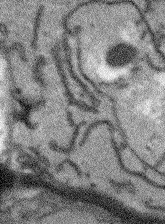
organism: Arabidopsis thaliana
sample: Root tip